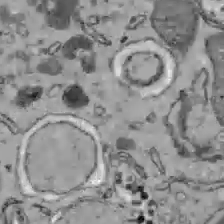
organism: C57BL Mouse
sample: Liver